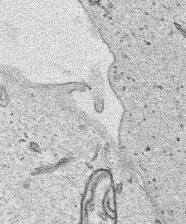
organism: Human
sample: Mitochondria in HCT116 cells